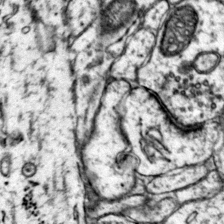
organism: Mouse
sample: Primary visual cortex